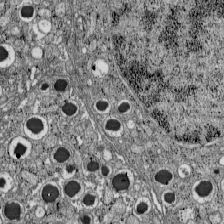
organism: C57BL Mouse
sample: Pancreatic islet